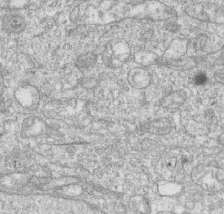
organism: Human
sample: HeLa cell HIV synapse